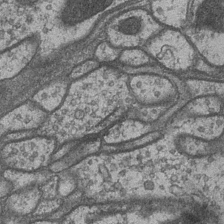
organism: Drosophila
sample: Optic medulla